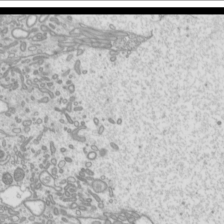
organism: Mouse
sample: Cilia; mouse epididymis